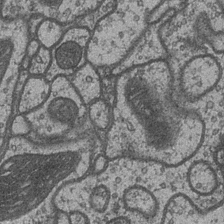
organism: Drosophila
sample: Optic medulla